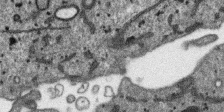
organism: Human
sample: Lung epithelial cells infected with SARS-CoV-2